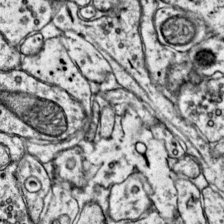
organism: Mouse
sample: Primary visual cortex